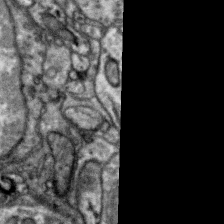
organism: Zebra finch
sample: Brain